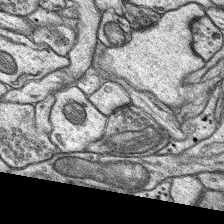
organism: Rat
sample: Hippocampus